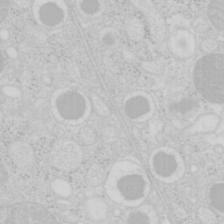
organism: Mouse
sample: Pancreas